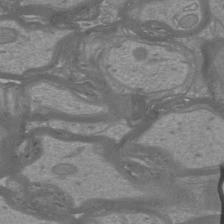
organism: Mouse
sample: Cortical neurons